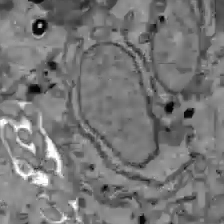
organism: C57BL Mouse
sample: Liver